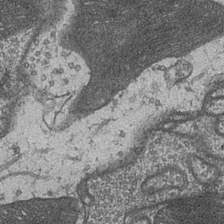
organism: Drosophila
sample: Optic medulla